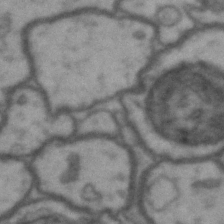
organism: Drosophila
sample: Brain